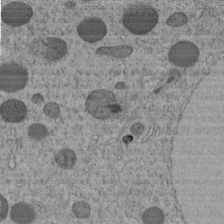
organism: C. elegans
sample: C. elegans embryo early stage